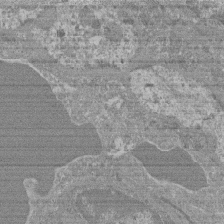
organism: Mouse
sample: Glomerulus